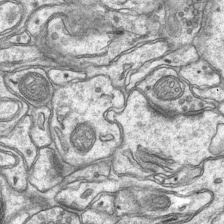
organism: Mouse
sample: CA1 Hippocampus